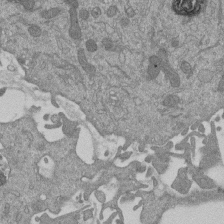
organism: Mouse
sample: ED-1 cell nuclei; centrioles